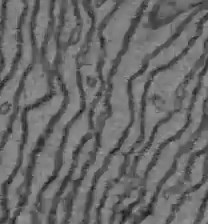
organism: C57BL Mouse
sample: Liver